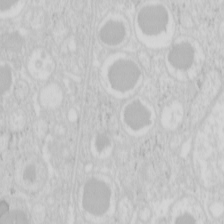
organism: Mouse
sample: Pancreas